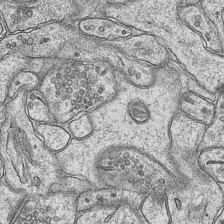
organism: Mouse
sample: CA1 Hippocampus